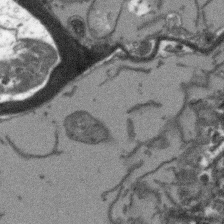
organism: Arabidopsis thaliana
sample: Root tip